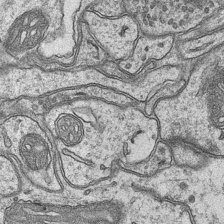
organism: Mouse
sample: CA1 Hippocampus